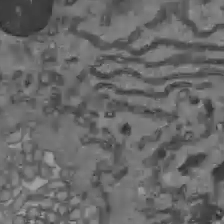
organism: C57BL Mouse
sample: Liver